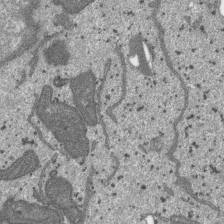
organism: Human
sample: Lung epithelial cells infected with SARS-CoV-2